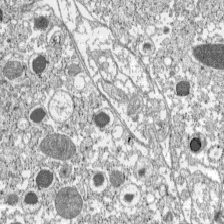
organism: C57BL Mouse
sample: Pancreatic islet